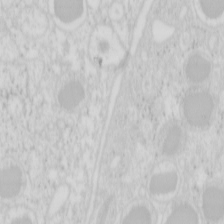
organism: Mouse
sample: Pancreas